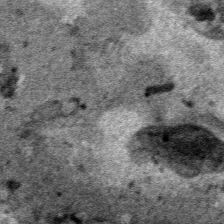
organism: Human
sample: Mitochondria in HCT116 cells